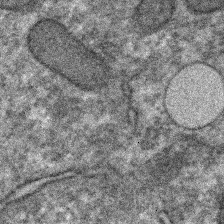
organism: C. elegans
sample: C. elegans embryo